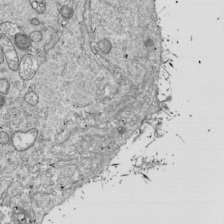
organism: Drosophila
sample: Cell division; meiosis; drosophila spermatocytes